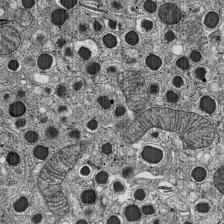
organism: C57BL Mouse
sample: Pancreatic islet